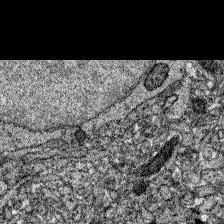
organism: Zebrafish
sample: Larval olfactory bulb